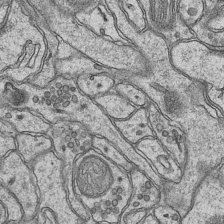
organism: Mouse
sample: CA1 Hippocampus